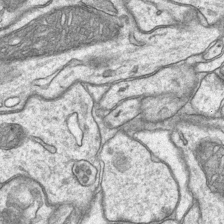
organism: Mouse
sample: CA1 Hippocampus